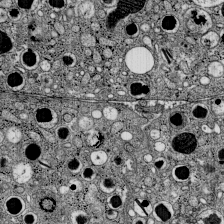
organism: C57BL Mouse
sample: Pancreatic islet